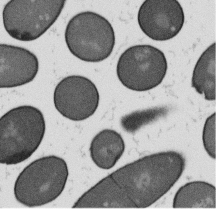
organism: B. subtilis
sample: Bacterial spore